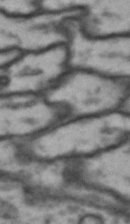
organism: Drosophila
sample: Brain